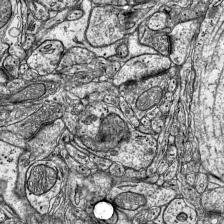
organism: Mouse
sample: Visual Cortex